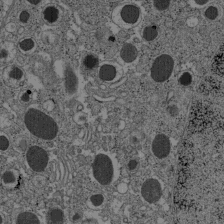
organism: C57BL Mouse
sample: Pancreatic islet